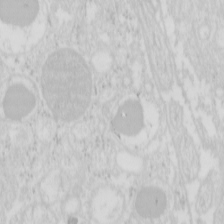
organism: Mouse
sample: Pancreas